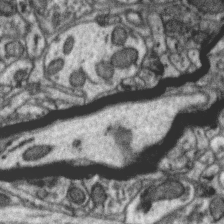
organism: Zebra finch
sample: Brain